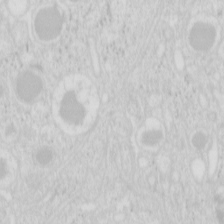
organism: Mouse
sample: Pancreas